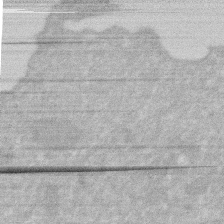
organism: Human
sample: HIV infected U937 cells